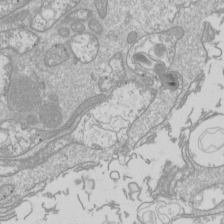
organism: Drosophila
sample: Cell division; meiosis; drosophila spermatocytes